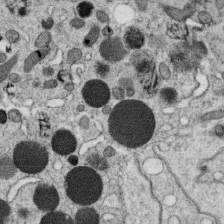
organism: C. elegans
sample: C. elegans oocyte; sperm cells